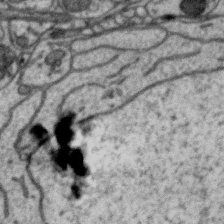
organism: Zebra finch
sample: Brain